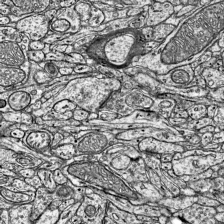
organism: Mouse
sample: Visual Cortex